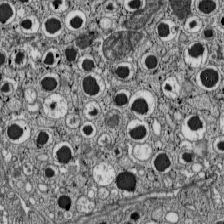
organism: C57BL Mouse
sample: Pancreatic islet